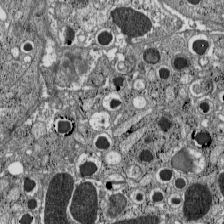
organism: C57BL Mouse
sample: Pancreatic islet